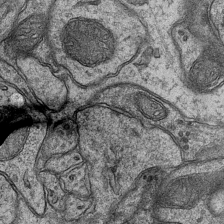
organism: Mouse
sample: CA1 Hippocampus